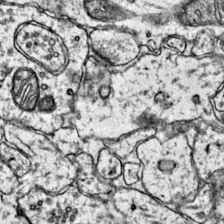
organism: Mouse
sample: Primary visual cortex